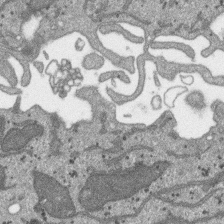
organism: Human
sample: Lung epithelial cells infected with SARS-CoV-2